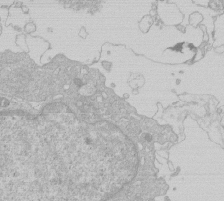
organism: Human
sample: Macrophage cells